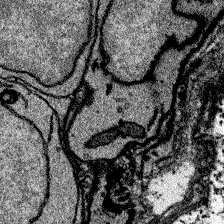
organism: Zebrafish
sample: Larval olfactory bulb